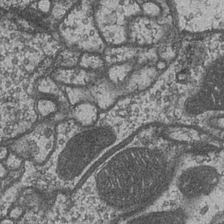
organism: Drosophila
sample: Optic medulla